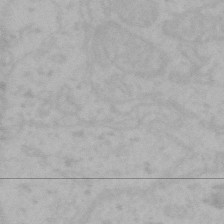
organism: Mouse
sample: Choroid plexus